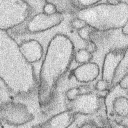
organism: Rabbit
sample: Retina